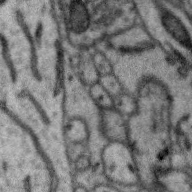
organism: Zebra finch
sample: Brain